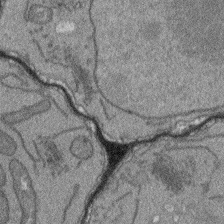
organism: Arabidopsis thaliana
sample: Root tip